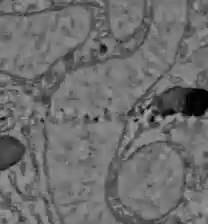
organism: C57BL Mouse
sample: Liver